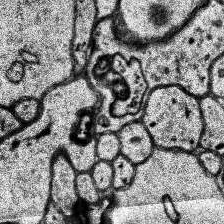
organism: Human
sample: Temporal Lobe